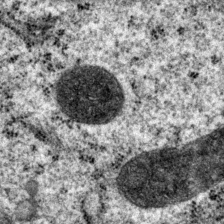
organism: P. pacificus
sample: Pharynx